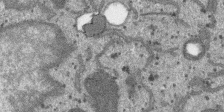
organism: Human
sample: Lung epithelial cells infected with SARS-CoV-2